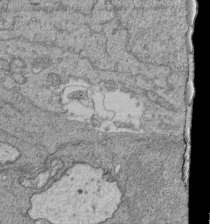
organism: Human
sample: Retinal organoid Rod and Cone cells